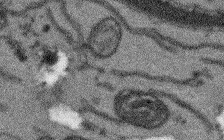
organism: Arabidopsis thaliana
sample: Root tip